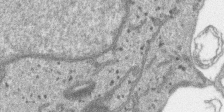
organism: Human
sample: Lung epithelial cells infected with SARS-CoV-2